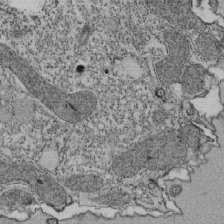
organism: Tetrahymena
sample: Cilia in tetrahymena